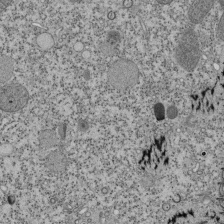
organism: Tetrahymena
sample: Cilia in tetrahymena